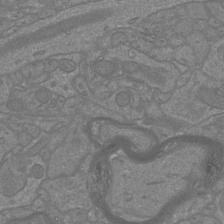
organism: Mouse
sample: Cortical neurons